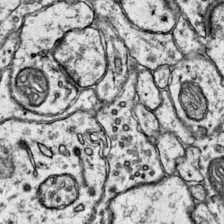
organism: Mouse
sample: Primary visual cortex